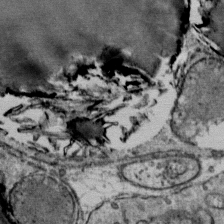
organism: Mouse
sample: Mouse Salivary gland